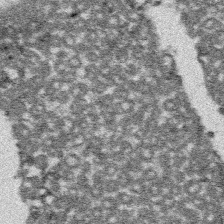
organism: Platynereis dumerilii